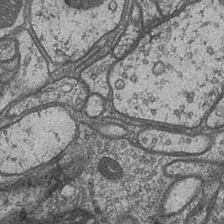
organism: Drosophila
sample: Optic medulla